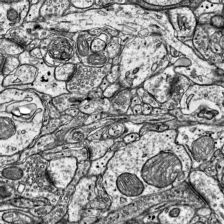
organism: Mouse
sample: Visual Cortex